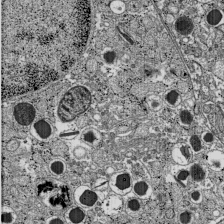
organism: C57BL Mouse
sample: Pancreatic islet